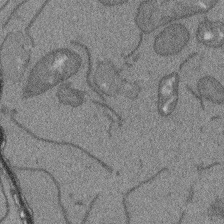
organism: Arabidopsis thaliana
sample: Root tip